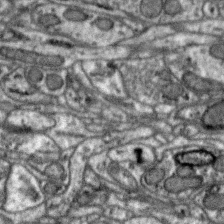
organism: Zebra finch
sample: Brain